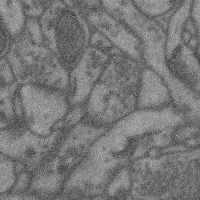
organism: Mouse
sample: Cerebral cortex